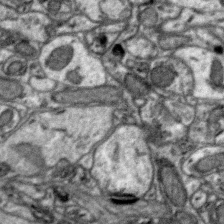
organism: Zebra finch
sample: Brain